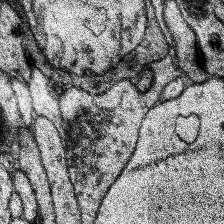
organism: Human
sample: Temporal Lobe